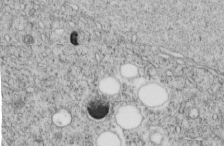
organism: C. elegans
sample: C. elegans embryo early stage